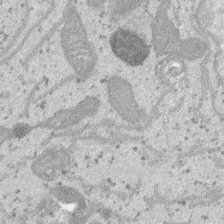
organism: Human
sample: Lung epithelial cells infected with SARS-CoV-2